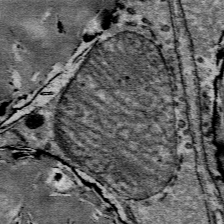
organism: Mouse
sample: Mouse Salivary gland